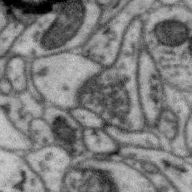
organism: Zebra finch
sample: Brain